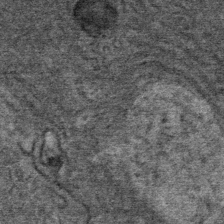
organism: Mouse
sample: Mouse Salivary gland